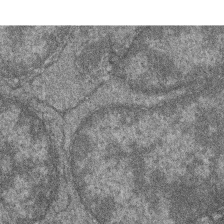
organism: Zebrafish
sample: Cilia; retinal pigment epithelium